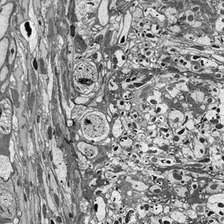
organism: Drosophila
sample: Optic lobe